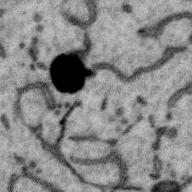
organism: Zebra finch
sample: Brain